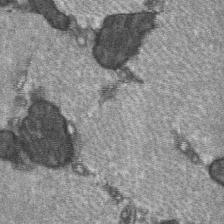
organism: C57BL Mouse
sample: Soleus